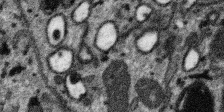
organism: Human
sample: Lung epithelial cells infected with SARS-CoV-2